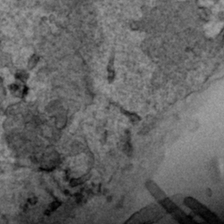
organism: Human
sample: Mitochondria in HCT116 cells